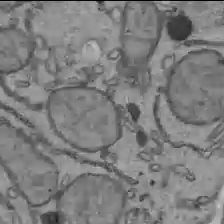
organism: C57BL Mouse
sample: Liver